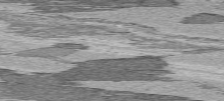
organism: C57BL Mouse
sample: Heart